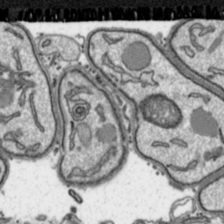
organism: Toxoplasma gondii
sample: Parasites in a vacuole inside a host cell